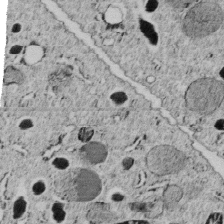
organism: C. elegans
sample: C. elegans embryo early stage